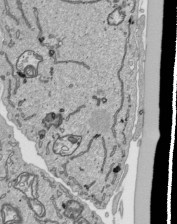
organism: Human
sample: Mitochondria in HCT116 cells